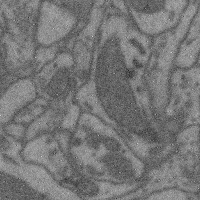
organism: Mouse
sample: Cerebral cortex